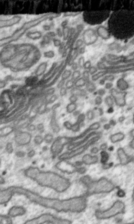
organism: Toxoplasma gondii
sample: Parasites in a vacuole inside a host cell